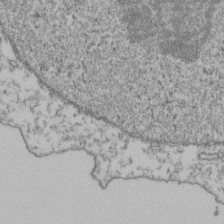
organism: Human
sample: Activated Jurkat CD4+ T cells